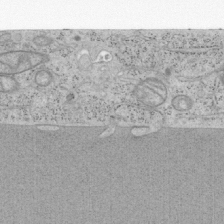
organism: Human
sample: HeLa cells